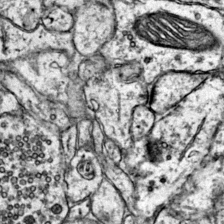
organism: Mouse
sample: Primary visual cortex